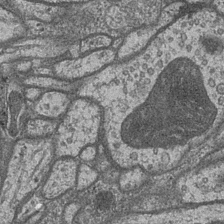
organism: Drosophila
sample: Optic medulla